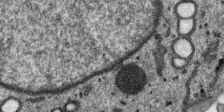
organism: Human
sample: Lung epithelial cells infected with SARS-CoV-2